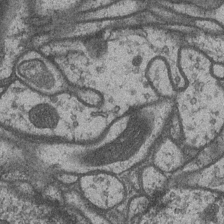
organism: Drosophila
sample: Optic medulla